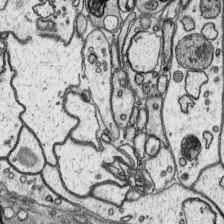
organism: Platynereis dumerilii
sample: Parapodia